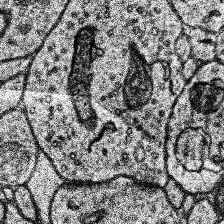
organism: Human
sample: Temporal Lobe